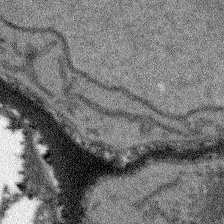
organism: Arabidopsis thaliana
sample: Root tip